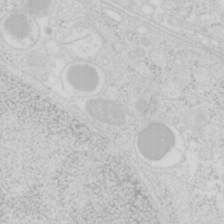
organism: Mouse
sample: Pancreas